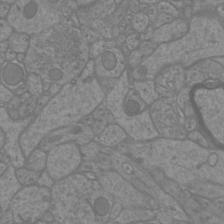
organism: Mouse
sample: Cortical neurons